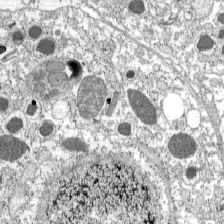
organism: C57BL Mouse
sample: Pancreatic islet